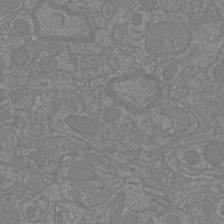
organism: Mouse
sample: Cortical neurons